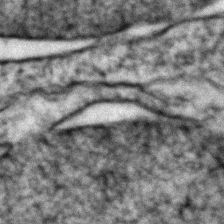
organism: Zebrafish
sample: Zebrafish embryo